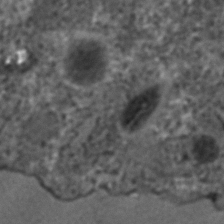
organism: C. elegans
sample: C. elegans embryo